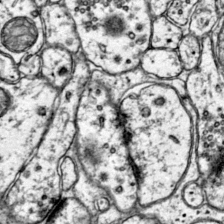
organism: Mouse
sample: Primary visual cortex